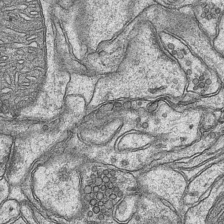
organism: Mouse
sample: CA1 Hippocampus